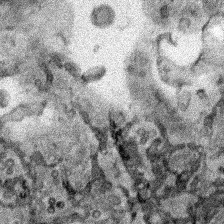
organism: Human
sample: Mitochondria in HCT116 cells